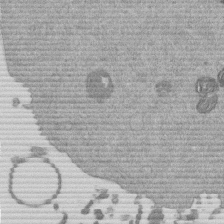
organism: Mouse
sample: Dividing mouse embryo 1 cell stage